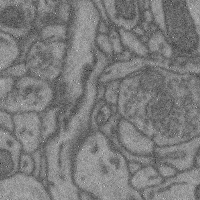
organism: Mouse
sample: Cerebral cortex